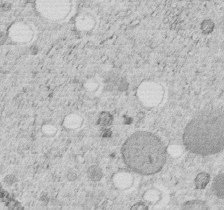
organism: C. elegans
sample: C. elegans embryo early stage